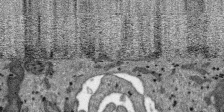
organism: Human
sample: Lung epithelial cells, uninfected (mock) control